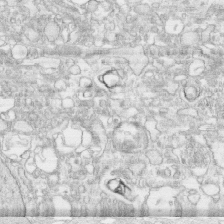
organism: Human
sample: CRL-1474